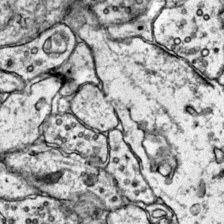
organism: Mouse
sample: Primary visual cortex